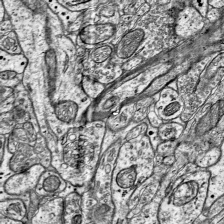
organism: Mouse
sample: Visual Cortex